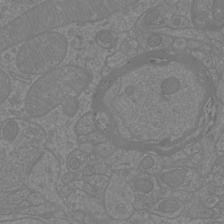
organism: Mouse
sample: Cortical neurons